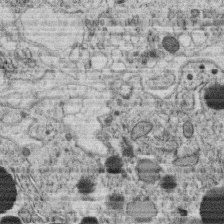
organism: C. elegans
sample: C. elegans oocyte; sperm cells